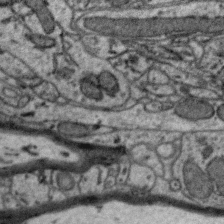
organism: Zebra finch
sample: Brain